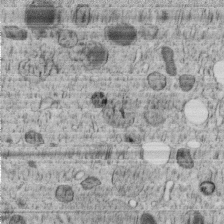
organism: C. elegans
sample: C. elegans embryo early stage